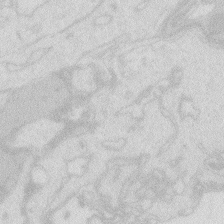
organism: Zebrafish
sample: Macrophage